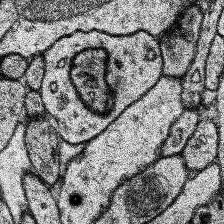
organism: Human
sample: Temporal Lobe